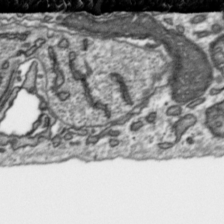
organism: Toxoplasma gondii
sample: Parasites in a vacuole inside a host cell